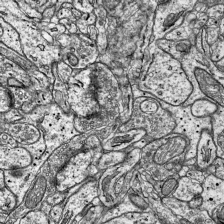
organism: Mouse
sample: Visual Cortex